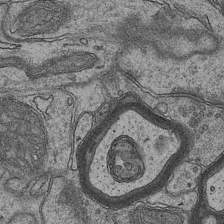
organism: Mouse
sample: CA1 Hippocampus